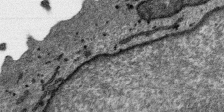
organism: Human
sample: Lung epithelial cells, uninfected (mock) control